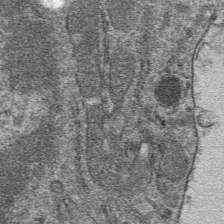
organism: Mouse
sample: Mouse hepatocytes